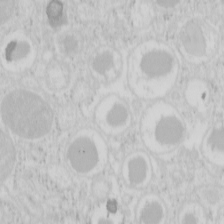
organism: Mouse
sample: Pancreas